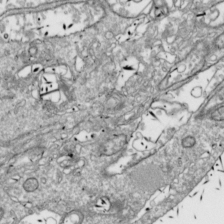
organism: Drosophila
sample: Cell division; meiosis; drosophila spermatocytes